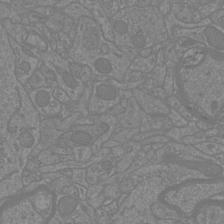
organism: Mouse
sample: Cortical neurons